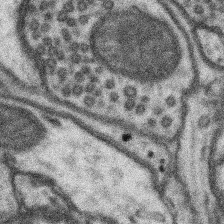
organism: Mouse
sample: Somatosensory cortex neuropil